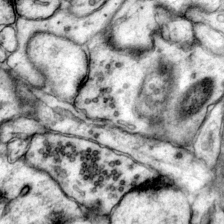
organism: Mouse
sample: Primary visual cortex